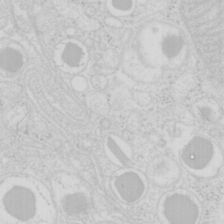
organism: Mouse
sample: Pancreas